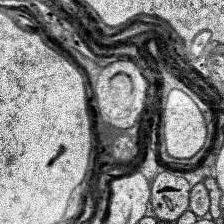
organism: Human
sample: Temporal Lobe